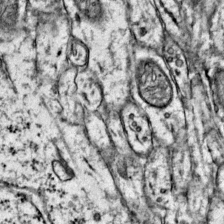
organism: Mouse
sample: Primary visual cortex